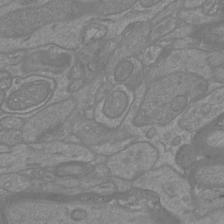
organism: Mouse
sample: Cortical neurons